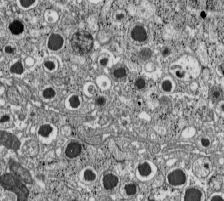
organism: C57BL Mouse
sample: Pancreatic islet